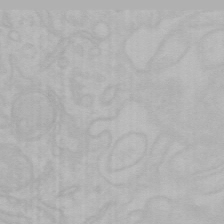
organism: Mouse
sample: Choroid plexus